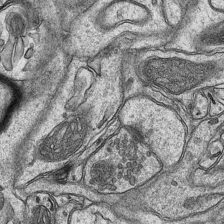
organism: Mouse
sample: CA1 Hippocampus